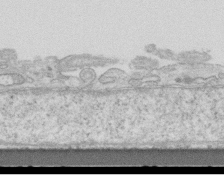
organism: Mouse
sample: Centriole in ependymal cells